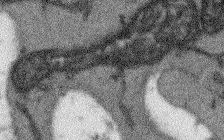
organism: Arabidopsis thaliana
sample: Root tip